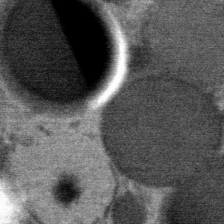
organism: Mouse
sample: Mouse Salivary gland